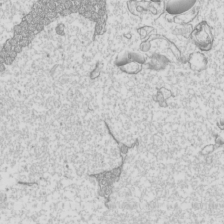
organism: Mouse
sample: Cilia; mouse epididymis